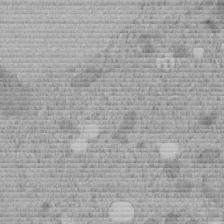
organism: C. elegans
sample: C. elegans embryo early stage